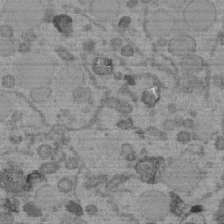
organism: C. elegans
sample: C. elegans embryo early stage